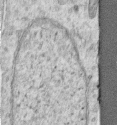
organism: Human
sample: Centriole in RPE cells